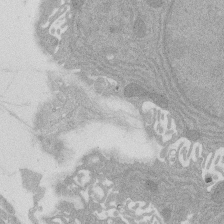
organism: Rat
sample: Salivary granule